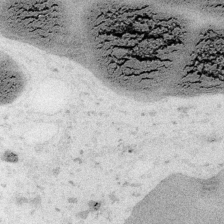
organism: Embia sp.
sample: Silk gland